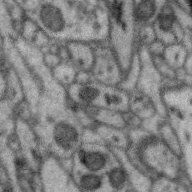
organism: Zebra finch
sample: Brain